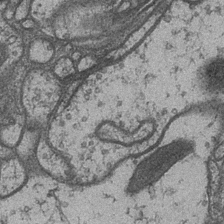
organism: Drosophila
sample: Optic medulla